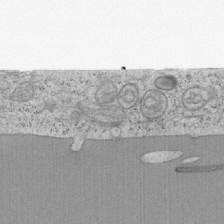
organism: Human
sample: HeLa cells